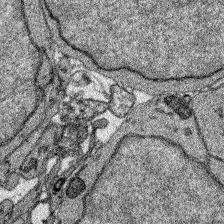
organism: Zebrafish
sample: Larval olfactory bulb